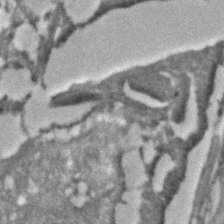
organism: C. elegans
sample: C. elegans embryo